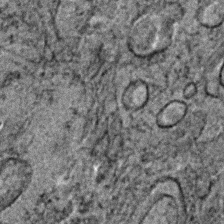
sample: Trachea